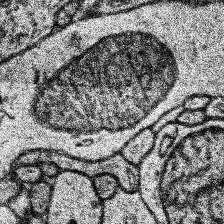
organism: Human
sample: Temporal Lobe